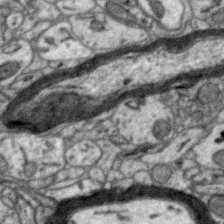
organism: Zebra finch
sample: Brain